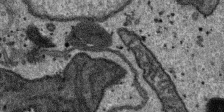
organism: Human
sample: Lung epithelial cells, uninfected (mock) control